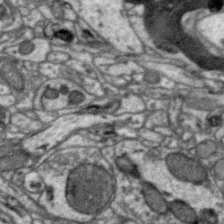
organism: Zebra finch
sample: Brain